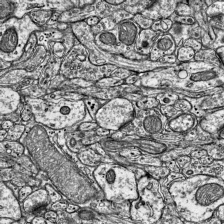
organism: Mouse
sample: Visual Cortex